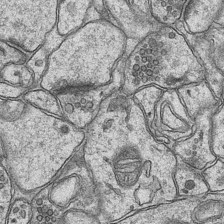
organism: Mouse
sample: CA1 Hippocampus